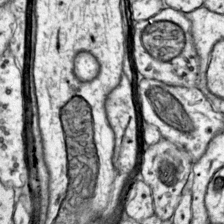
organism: Mouse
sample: Primary visual cortex